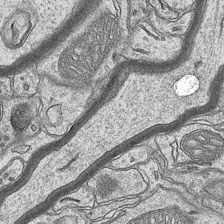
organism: Mouse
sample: CA1 Hippocampus